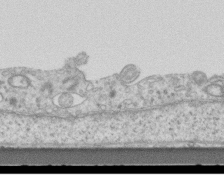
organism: Mouse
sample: Centriole in ependymal cells